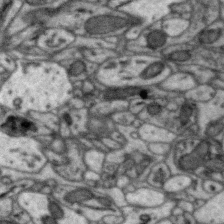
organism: Zebra finch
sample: Brain